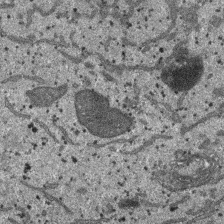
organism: Human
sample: Lung epithelial cells infected with SARS-CoV-2